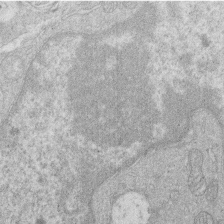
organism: Human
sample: Macrophage cells